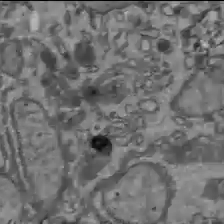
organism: C57BL Mouse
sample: Liver